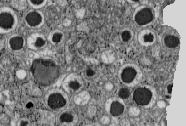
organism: C57BL Mouse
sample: Pancreatic islet